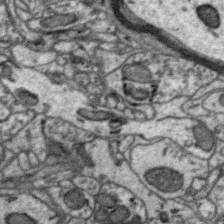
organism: Zebra finch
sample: Brain